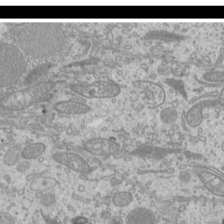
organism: Mouse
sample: Cilia; mouse epididymis